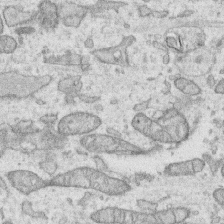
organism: Human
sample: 1205lu cells